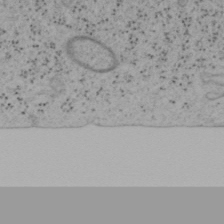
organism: Human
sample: HeLa cells